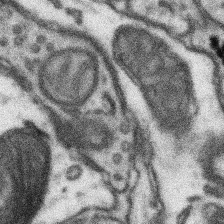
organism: Mouse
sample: Somatosensory cortex neuropil